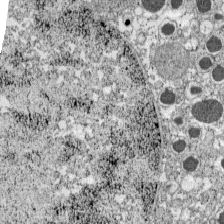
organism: C57BL Mouse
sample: Pancreatic islet